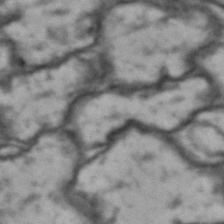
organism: Drosophila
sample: Brain